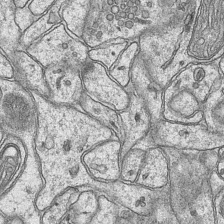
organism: Mouse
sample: CA1 Hippocampus